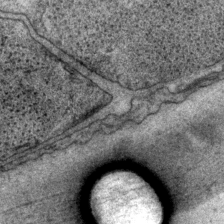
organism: P. pacificus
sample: Pharynx